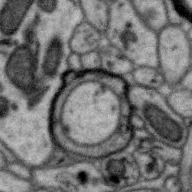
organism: Zebra finch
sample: Brain